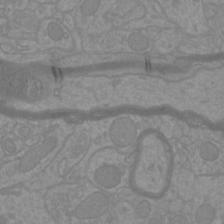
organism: Mouse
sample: Cortical neurons